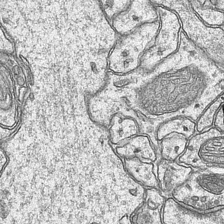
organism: Mouse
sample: CA1 Hippocampus